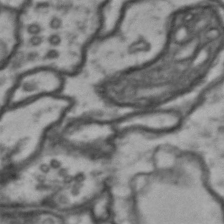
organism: Drosophila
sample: Brain